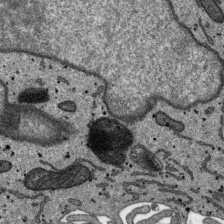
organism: Human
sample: Lung epithelial cells, uninfected (mock) control